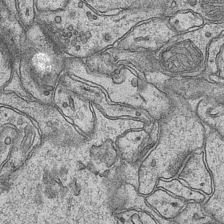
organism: Mouse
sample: CA1 Hippocampus